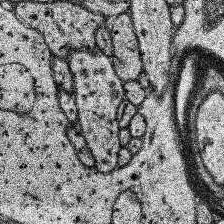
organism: Human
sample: Temporal Lobe